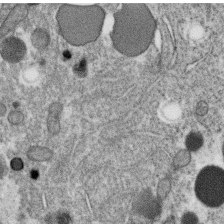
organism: C. elegans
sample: C. elegans oocyte; sperm cells